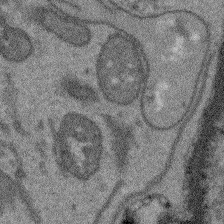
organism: Arabidopsis thaliana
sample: Root tip